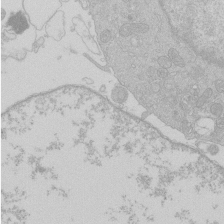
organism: Human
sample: Macrophage cells